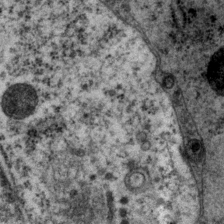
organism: P. pacificus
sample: Pharynx